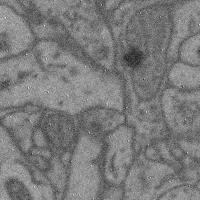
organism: Mouse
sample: Cerebral cortex